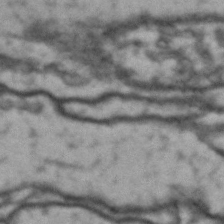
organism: Drosophila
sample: Brain